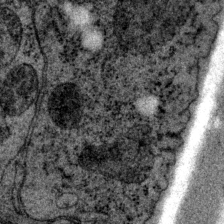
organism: P. pacificus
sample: Pharynx